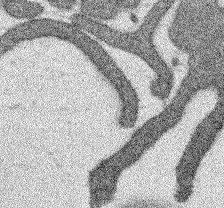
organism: Human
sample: HeLa cells